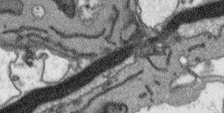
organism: Arabidopsis thaliana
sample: Root tip